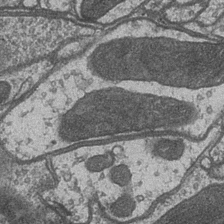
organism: Drosophila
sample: Optic medulla